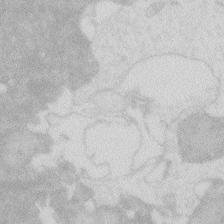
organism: Zebrafish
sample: Macrophage